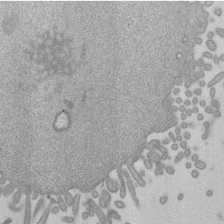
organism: Mouse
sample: Dividing mouse embryo 1 cell stage